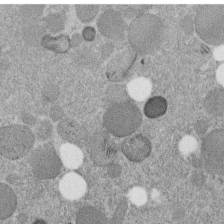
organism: C. elegans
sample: C. elegans embryo early stage